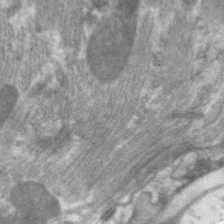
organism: C. elegans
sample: Pharynx